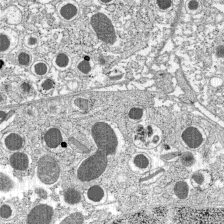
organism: C57BL Mouse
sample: Pancreatic islet